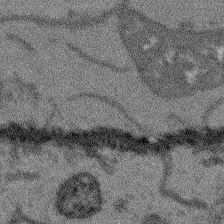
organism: Arabidopsis thaliana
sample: Root tip